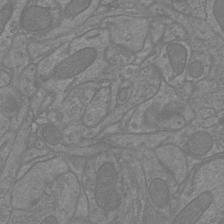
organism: Mouse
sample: Cortical neurons